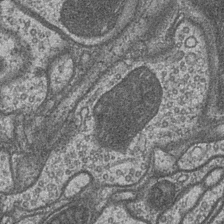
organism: Drosophila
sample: Optic medulla